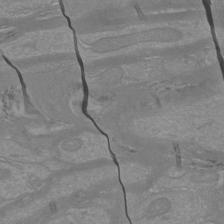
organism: Mouse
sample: Cortical neurons